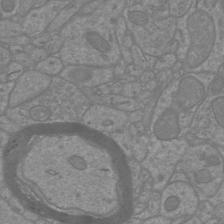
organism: Mouse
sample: Cortical neurons